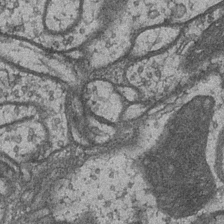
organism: Drosophila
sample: Optic medulla